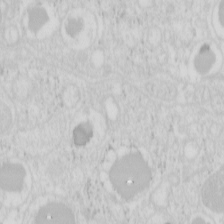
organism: Mouse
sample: Pancreas